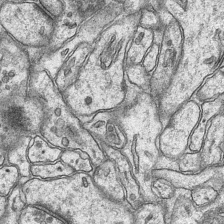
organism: Mouse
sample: CA1 Hippocampus